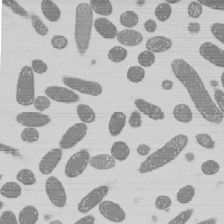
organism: E. coli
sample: Bacterial nucleoid